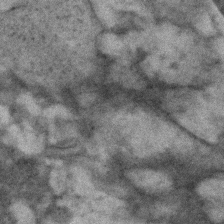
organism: Human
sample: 1205lu cells